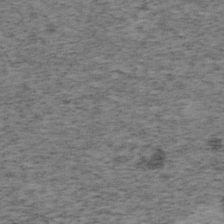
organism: Mouse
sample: OT-I killer T cells with ID8 ovarian cancer cells